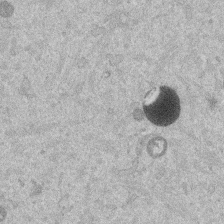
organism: Mouse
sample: Dividing mouse embryo 1 cell stage